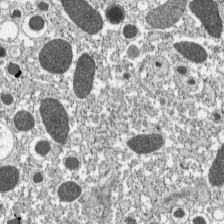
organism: C57BL Mouse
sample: Pancreatic islet